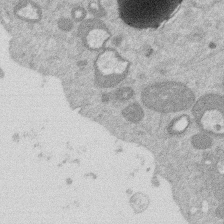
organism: Mouse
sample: Dividing mouse embryo 1 cell stage